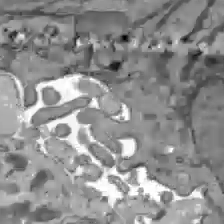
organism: C57BL Mouse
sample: Liver